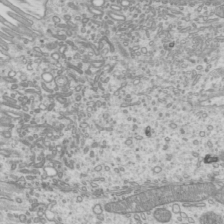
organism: Mouse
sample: Cilia; mouse epididymis